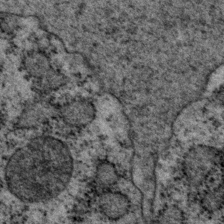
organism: P. pacificus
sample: Pharynx